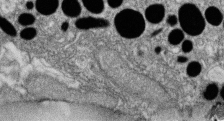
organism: Zebrafish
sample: Cilia; retinal pigment epithelium